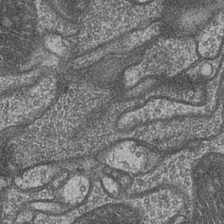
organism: Drosophila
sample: Optic medulla